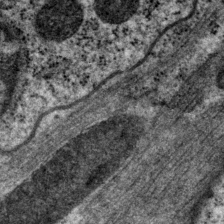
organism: P. pacificus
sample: Pharynx